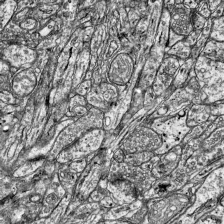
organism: Mouse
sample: Visual Cortex